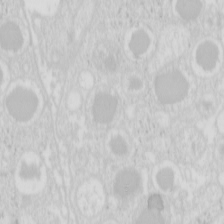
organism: Mouse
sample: Pancreas